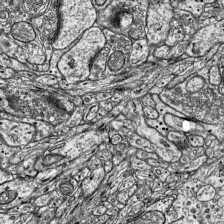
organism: Mouse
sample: Visual Cortex